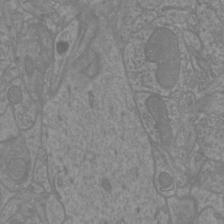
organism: Mouse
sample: Cortical neurons